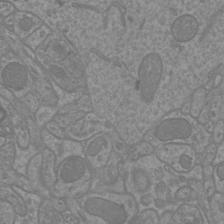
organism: Mouse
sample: Cortical neurons